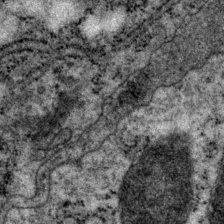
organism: P. pacificus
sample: Pharynx